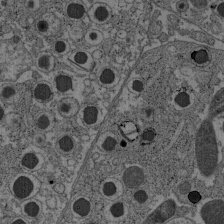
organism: C57BL Mouse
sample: Pancreatic islet